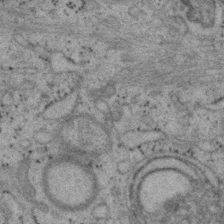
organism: Human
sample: HeLa cells